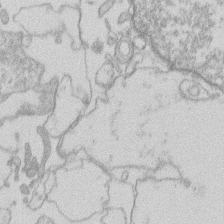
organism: Human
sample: Macrophage cells